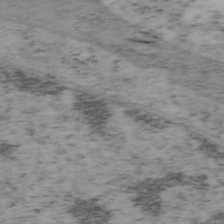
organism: Mouse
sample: OT-I killer T cells with ID8 ovarian cancer cells